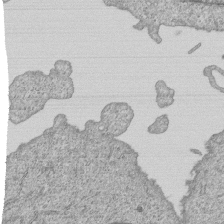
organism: Human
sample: MDA-MB-231 cells